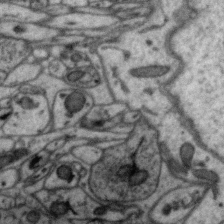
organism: Zebra finch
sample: Brain